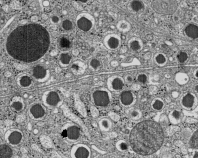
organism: C57BL Mouse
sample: Pancreatic islet